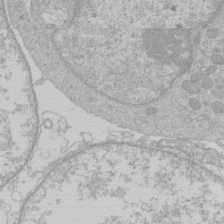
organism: Human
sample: Macrophage cells